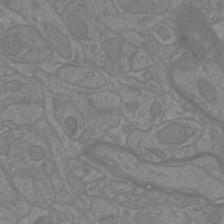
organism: Mouse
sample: Cortical neurons